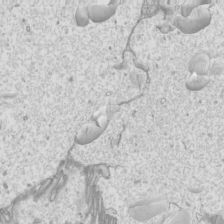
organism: Mouse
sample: Cilia; mouse epididymis